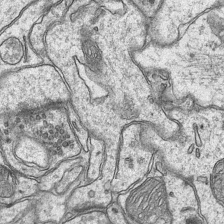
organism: Mouse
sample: CA1 Hippocampus